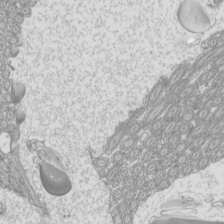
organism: Mouse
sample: Cilia; mouse epididymis